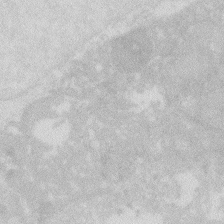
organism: Zebrafish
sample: Macrophage